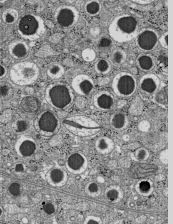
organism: C57BL Mouse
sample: Pancreatic islet